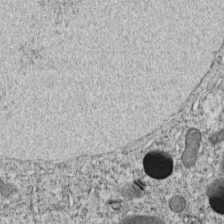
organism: C. elegans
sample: C. elegans embryo early stage